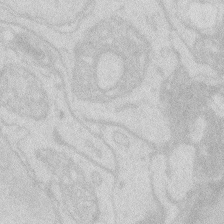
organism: Zebrafish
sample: Macrophage